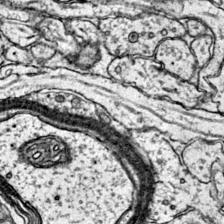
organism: Mouse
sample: Primary visual cortex